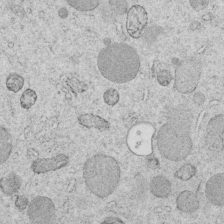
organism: C. elegans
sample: C. elegans embryo early stage